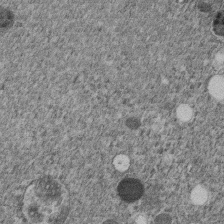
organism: C. elegans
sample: C. elegans embryo early stage